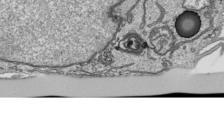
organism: Human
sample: Mitochondria in HCT116 cells